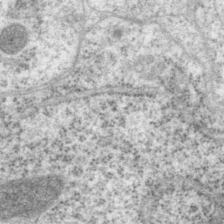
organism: P. pacificus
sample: Pharynx